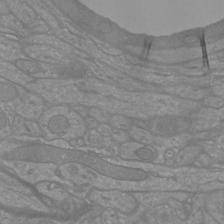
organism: Mouse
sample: Cortical neurons